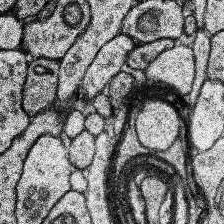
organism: Human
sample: Temporal Lobe